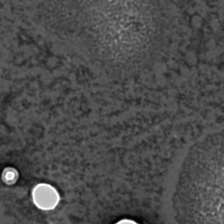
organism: C. elegans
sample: C. elegans embryo